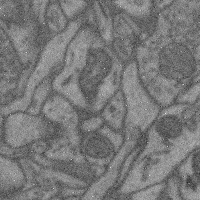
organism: Mouse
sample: Cerebral cortex